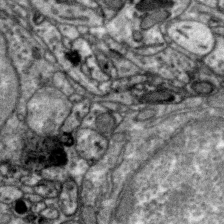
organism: Zebra finch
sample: Brain